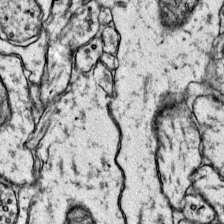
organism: Mouse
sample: Primary visual cortex